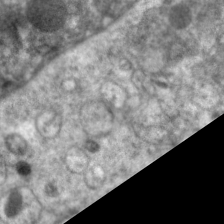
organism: C. elegans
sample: Pharynx